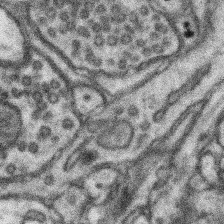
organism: Mouse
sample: Somatosensory cortex neuropil